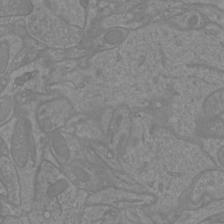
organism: Mouse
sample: Cortical neurons